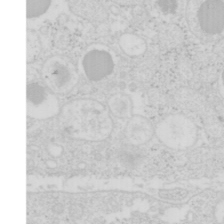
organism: Mouse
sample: Pancreas